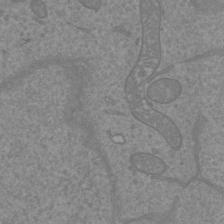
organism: Mouse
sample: Cortical neurons